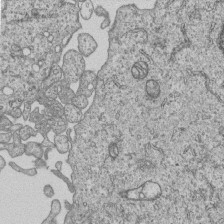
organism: Human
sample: MDA-MB-231 cells